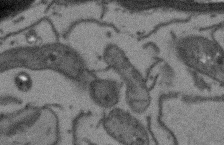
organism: Arabidopsis thaliana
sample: Root tip